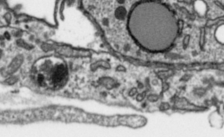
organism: Toxoplasma gondii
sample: Parasites in a vacuole inside a host cell